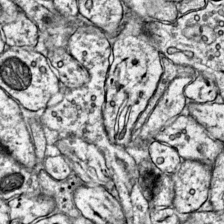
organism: Mouse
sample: Primary visual cortex